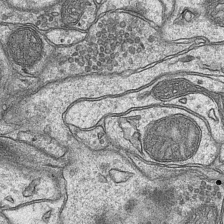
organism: Mouse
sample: CA1 Hippocampus